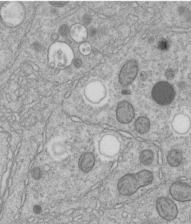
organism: C. elegans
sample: C. elegans embryo early stage